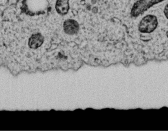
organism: C. elegans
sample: C. elegans embryo early stage